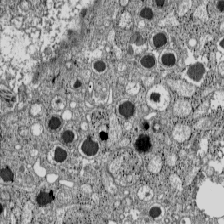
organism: C57BL Mouse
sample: Pancreatic islet